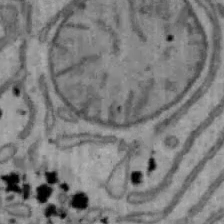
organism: Mouse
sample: Liver